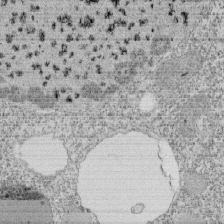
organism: Tetrahymena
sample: Cilia in tetrahymena